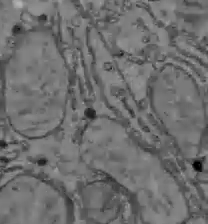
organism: C57BL Mouse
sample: Liver